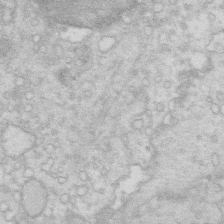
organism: Mouse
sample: Multiciliated cells